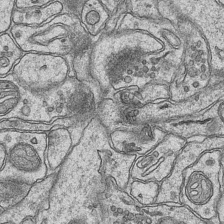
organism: Mouse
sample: CA1 Hippocampus